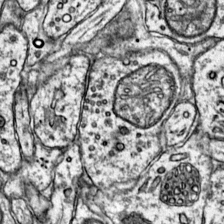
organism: Mouse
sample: Primary visual cortex